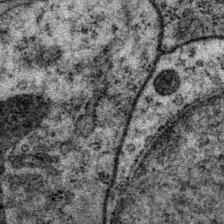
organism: P. pacificus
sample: Pharynx